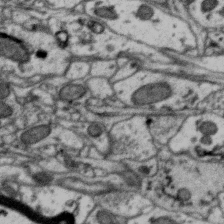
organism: Zebra finch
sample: Brain